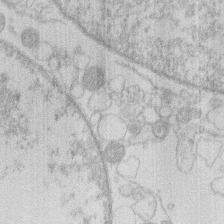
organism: Human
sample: Macrophage cells